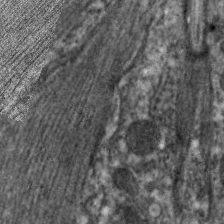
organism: C. elegans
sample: Pharynx